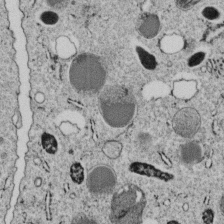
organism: C. elegans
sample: C. elegans embryo early stage